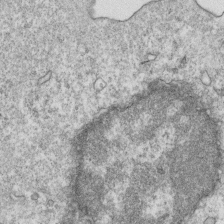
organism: Mouse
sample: Activated OT-1 CD8+ T cells